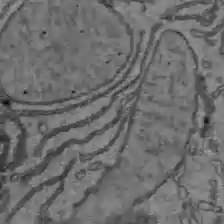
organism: C57BL Mouse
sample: Liver